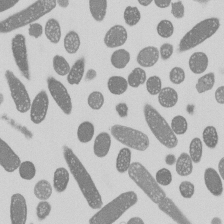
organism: E. coli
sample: Bacterial nucleoid